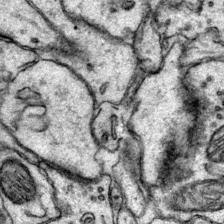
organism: Mouse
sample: Primary visual cortex